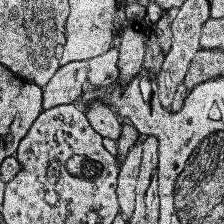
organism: Human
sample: Temporal Lobe